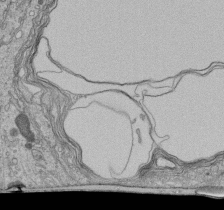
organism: Human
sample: Retinal organoid Rod and Cone cells